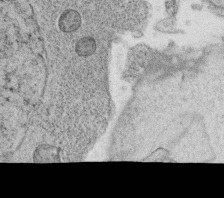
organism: C. elegans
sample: C. elegans oocyte; sperm cells